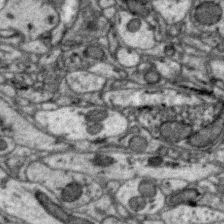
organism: Zebra finch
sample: Brain